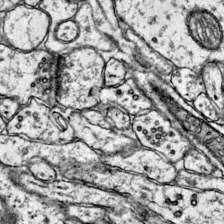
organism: Mouse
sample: Primary visual cortex